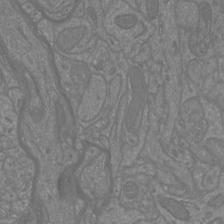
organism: Mouse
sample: Cortical neurons